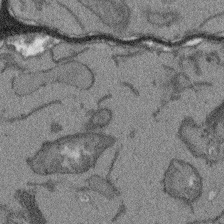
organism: Arabidopsis thaliana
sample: Root tip